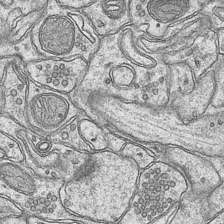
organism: Mouse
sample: CA1 Hippocampus